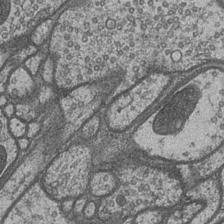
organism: Drosophila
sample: Optic medulla